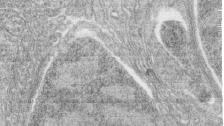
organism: Zebrafish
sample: synaptic ribbons in rod cells and cone cells